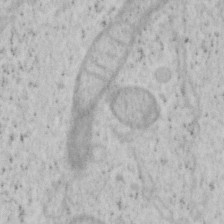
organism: Human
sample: HeLa cells